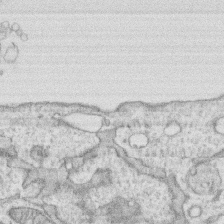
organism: Human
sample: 1205lu cells